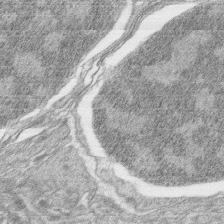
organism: Zebrafish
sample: synaptic ribbons in rod cells and cone cells